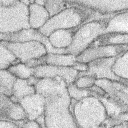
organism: Rabbit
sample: Retina